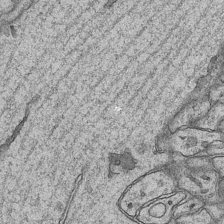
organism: Mouse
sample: CA1 Hippocampus